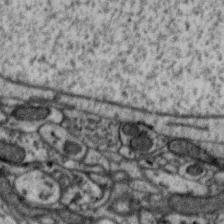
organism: Zebra finch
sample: Brain